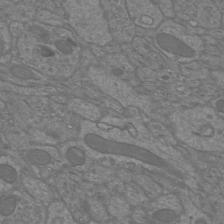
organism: Mouse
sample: Cortical neurons